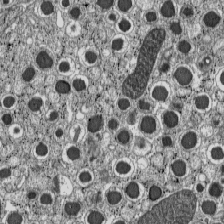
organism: C57BL Mouse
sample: Pancreatic islet